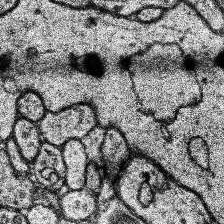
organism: Human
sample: Temporal Lobe